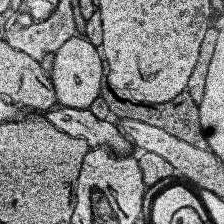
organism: Human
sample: Temporal Lobe